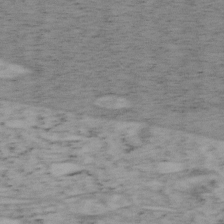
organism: Mouse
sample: OT-I killer T cells with ID8 ovarian cancer cells